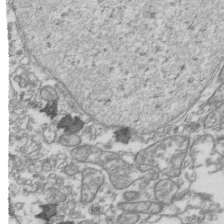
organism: Human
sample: Activated Jurkat CD4+ T cells